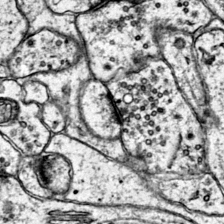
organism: Mouse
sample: Primary visual cortex